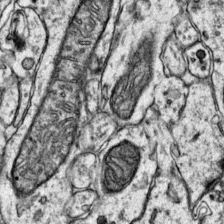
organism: Mouse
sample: Primary visual cortex